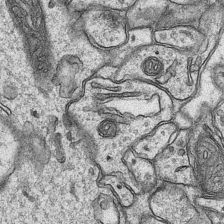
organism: Mouse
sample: CA1 Hippocampus